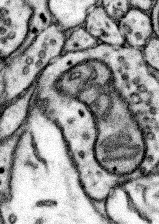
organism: Mouse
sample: Somatosensory cortex neuropil